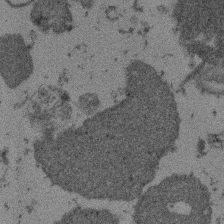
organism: Mouse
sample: Dividing mouse embryo 1 cell stage